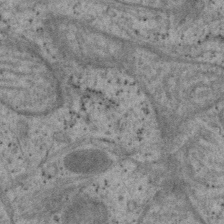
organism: Human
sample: HeLa cells